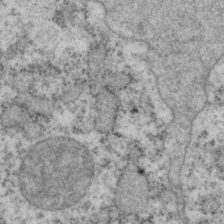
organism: P. pacificus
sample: Pharynx